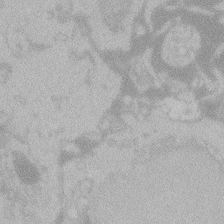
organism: Zebrafish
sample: Macrophage infected with Toxoplasma gondii